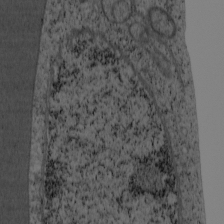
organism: African green monkey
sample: COS-7 cells